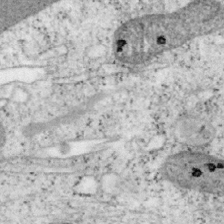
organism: Mouse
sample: OT-I killer T cells with ID8 ovarian cancer cells